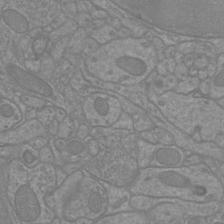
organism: Mouse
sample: Cortical neurons